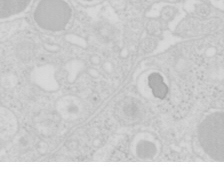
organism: Mouse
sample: Pancreas